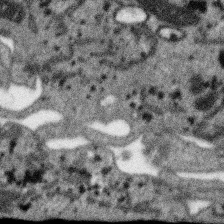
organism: Human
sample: Lung epithelial cells infected with SARS-CoV-2